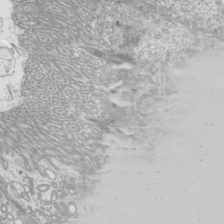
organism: Mouse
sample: Cilia; mouse epididymis